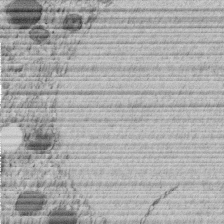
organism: C. elegans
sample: C. elegans embryo early stage